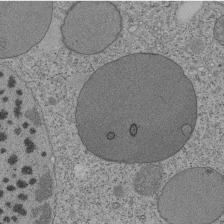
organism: Tetrahymena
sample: Cilia in tetrahymena